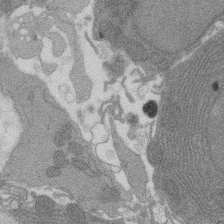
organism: Rat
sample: Salivary granule